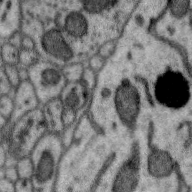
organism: Zebra finch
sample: Brain